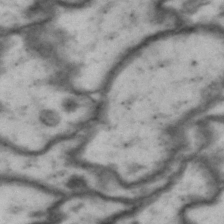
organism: Drosophila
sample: Brain